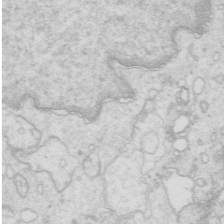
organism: Mouse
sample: Multiciliated cells